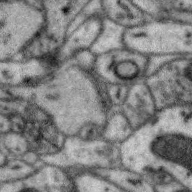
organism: Zebra finch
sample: Brain